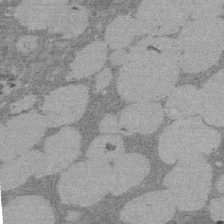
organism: Rat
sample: Salivary granule